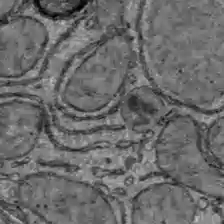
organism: C57BL Mouse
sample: Liver